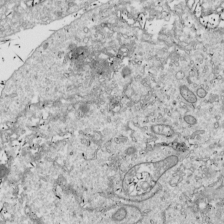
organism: Drosophila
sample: Cell division; meiosis; drosophila spermatocytes